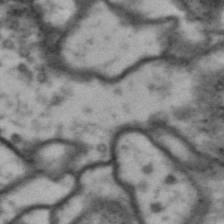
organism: Drosophila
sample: Brain